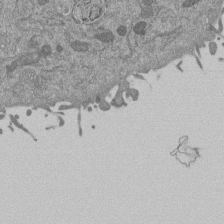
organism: Mouse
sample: ED-1 cell nuclei; centrioles